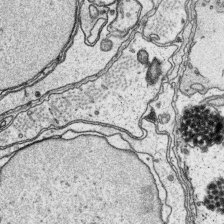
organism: Platynereis dumerilii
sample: Parapodia